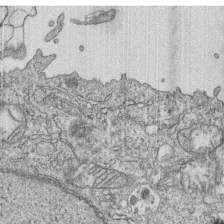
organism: Human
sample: HeLa cell HIV synapse